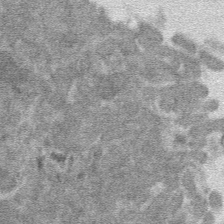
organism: Mouse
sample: Mouse hepatocytes